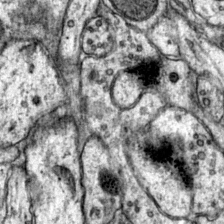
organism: Mouse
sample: Primary visual cortex